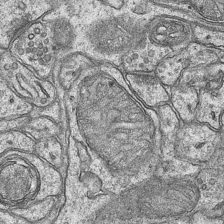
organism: Mouse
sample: CA1 Hippocampus